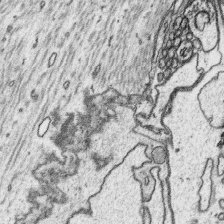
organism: Platynereis dumerilii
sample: Parapodia